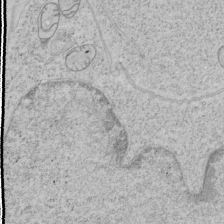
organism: Human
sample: Mitochondria in HCT116 cells